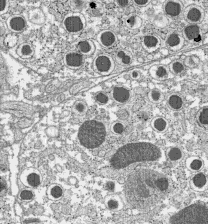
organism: C57BL Mouse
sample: Pancreatic islet